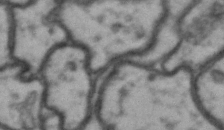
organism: Drosophila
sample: Brain